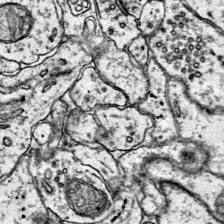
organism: Mouse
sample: Primary visual cortex